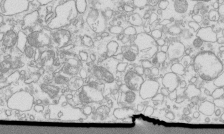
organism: Mouse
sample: Macrophages